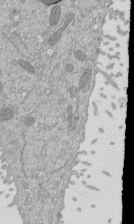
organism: Mouse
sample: ED-1 cell nuclei; centrioles